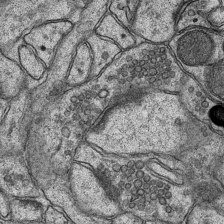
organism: Mouse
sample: CA1 Hippocampus